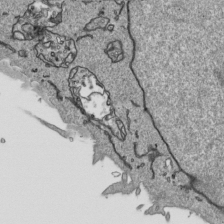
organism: Human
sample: Mitochondria in HCT116 cells